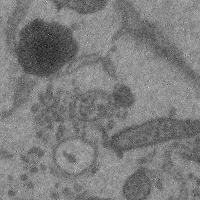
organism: Mouse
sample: Cerebral cortex